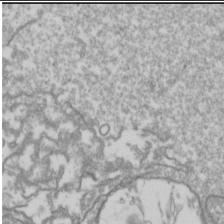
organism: Drosophila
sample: Cell division; meiosis; drosophila spermatocytes